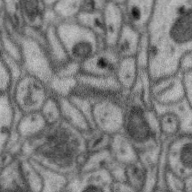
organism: Zebra finch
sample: Brain